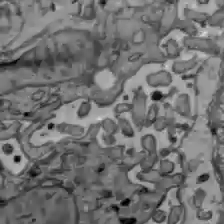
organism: C57BL Mouse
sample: Liver